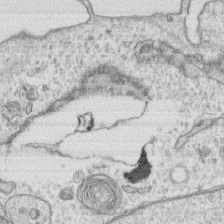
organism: Human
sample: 1205lu cells